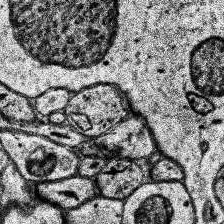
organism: Human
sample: Temporal Lobe